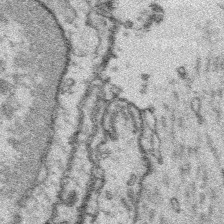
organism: Platynereis dumerilii